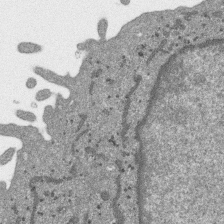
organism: Human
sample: Lung epithelial cells infected with SARS-CoV-2